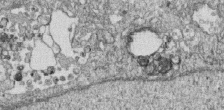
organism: Human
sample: HeLa cell HIV synapse